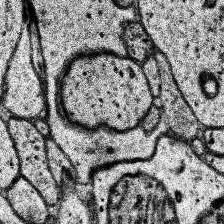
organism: Human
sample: Temporal Lobe